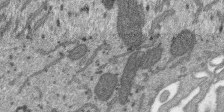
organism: Human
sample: Lung epithelial cells infected with SARS-CoV-2